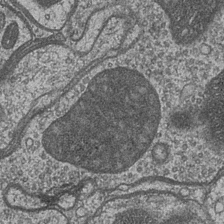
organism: Drosophila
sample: Optic medulla